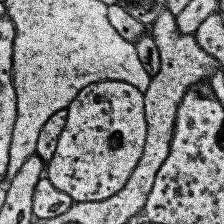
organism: Human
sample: Temporal Lobe